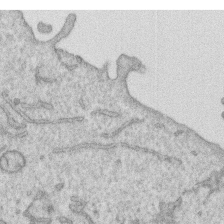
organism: Human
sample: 1205lu cells